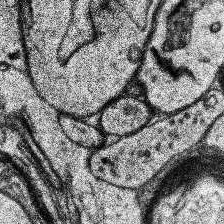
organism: Human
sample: Temporal Lobe